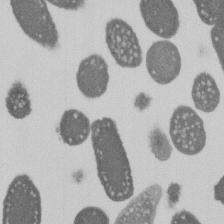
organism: E. coli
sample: Bacterial nucleoid